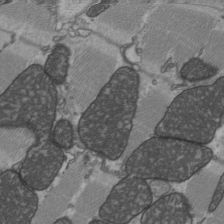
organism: C57BL Mouse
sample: Heart